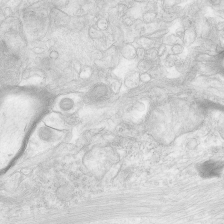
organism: Human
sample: Neocortex